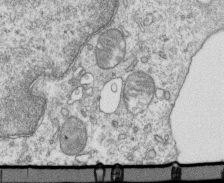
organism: Mouse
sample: Activated OT-1 CD8+ T cells